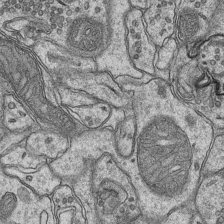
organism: Mouse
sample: CA1 Hippocampus